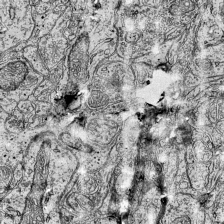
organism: Mouse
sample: Visual Cortex